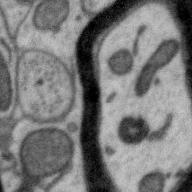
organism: Zebra finch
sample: Brain